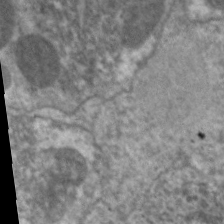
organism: C. elegans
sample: Pharynx